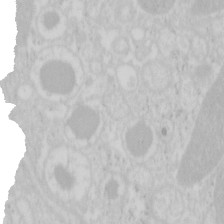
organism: Mouse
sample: Pancreas